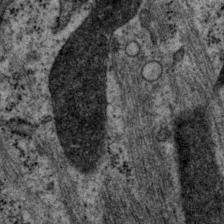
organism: P. pacificus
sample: Pharynx